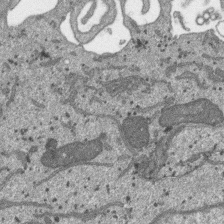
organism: Human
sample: Lung epithelial cells infected with SARS-CoV-2